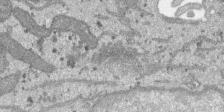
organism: Human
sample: Lung epithelial cells infected with SARS-CoV-2